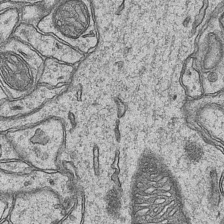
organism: Mouse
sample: CA1 Hippocampus